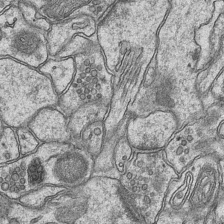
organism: Mouse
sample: CA1 Hippocampus